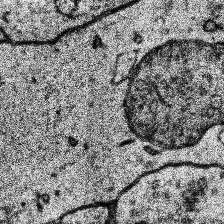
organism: Human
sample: Temporal Lobe